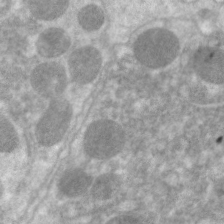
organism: C. elegans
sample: Pharynx